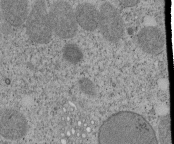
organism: Tetrahymena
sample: Cilia in tetrahymena